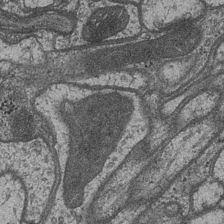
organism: Drosophila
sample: Optic medulla